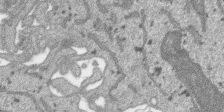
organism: Human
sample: Lung epithelial cells infected with SARS-CoV-2